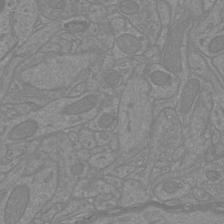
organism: Mouse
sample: Cortical neurons